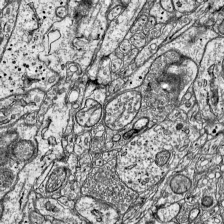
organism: Mouse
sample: Visual Cortex